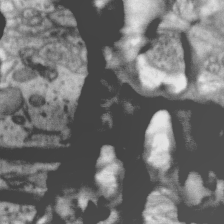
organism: Zebra finch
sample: Brain